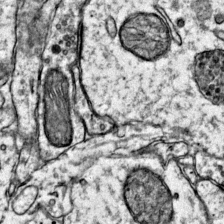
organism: Mouse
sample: Primary visual cortex